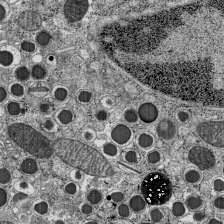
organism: C57BL Mouse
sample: Pancreatic islet